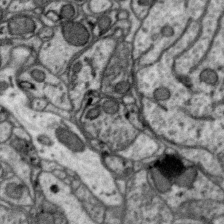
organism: Zebra finch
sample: Brain